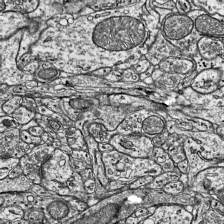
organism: Mouse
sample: Visual Cortex